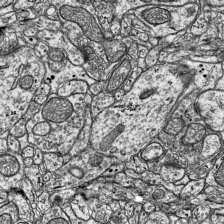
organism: Mouse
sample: Visual Cortex